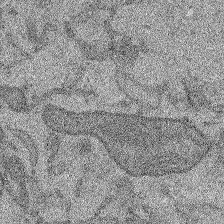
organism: Human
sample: HeLa cells